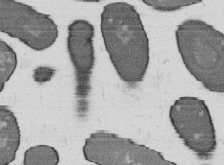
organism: B. subtilis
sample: Bacterial spore